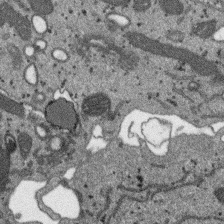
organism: Human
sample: Lung epithelial cells infected with SARS-CoV-2